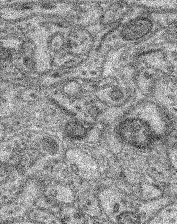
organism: Mouse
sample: Retina